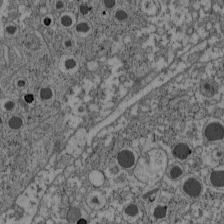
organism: C57BL Mouse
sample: Pancreatic islet